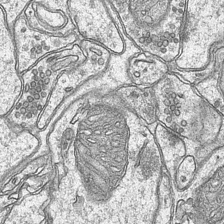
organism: Mouse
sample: CA1 Hippocampus